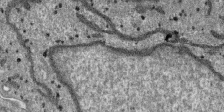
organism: Human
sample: Lung epithelial cells, uninfected (mock) control